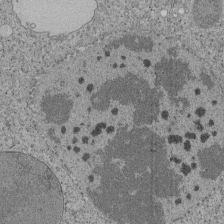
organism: Tetrahymena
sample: Cilia in tetrahymena